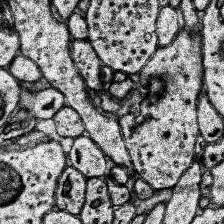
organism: Human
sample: Temporal Lobe